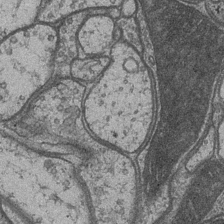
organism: Drosophila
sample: Optic medulla